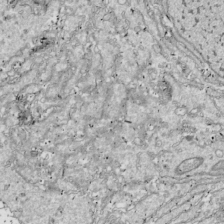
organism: Drosophila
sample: Cell division; meiosis; drosophila spermatocytes